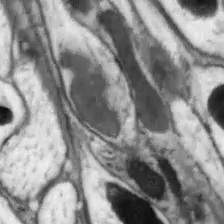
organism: Drosophila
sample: Optic lobe